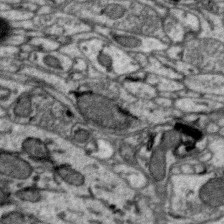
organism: Zebra finch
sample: Brain